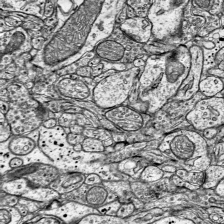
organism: Mouse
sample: Visual Cortex